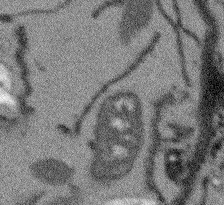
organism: Arabidopsis thaliana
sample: Root tip